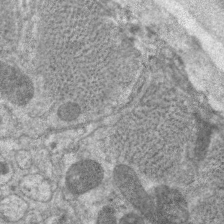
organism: C. elegans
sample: Pharynx